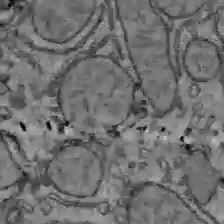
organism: C57BL Mouse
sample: Liver